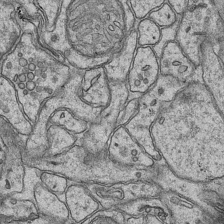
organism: Mouse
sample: CA1 Hippocampus